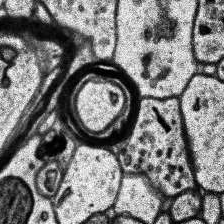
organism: Human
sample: Temporal Lobe